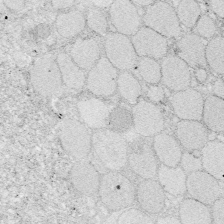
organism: Zebrafish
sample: Whole-Brain